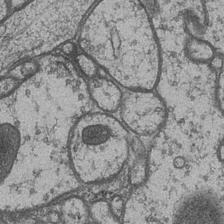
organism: Drosophila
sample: Optic medulla